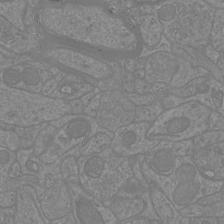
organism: Mouse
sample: Cortical neurons